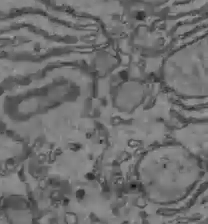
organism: C57BL Mouse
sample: Liver